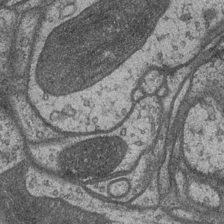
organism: Drosophila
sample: Optic medulla